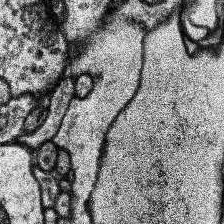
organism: Human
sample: Temporal Lobe